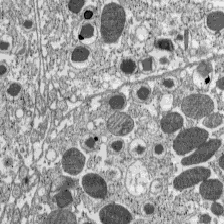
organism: C57BL Mouse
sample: Pancreatic islet